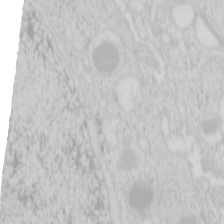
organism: Mouse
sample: Pancreas